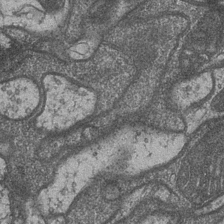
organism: Drosophila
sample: Optic medulla